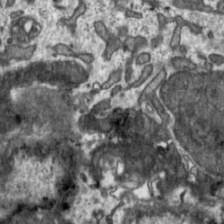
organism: Toxoplasma gondii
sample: Parasites in a vacuole inside a host cell